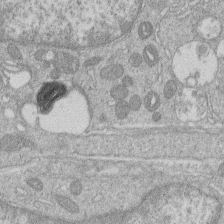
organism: Human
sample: Macrophage cells